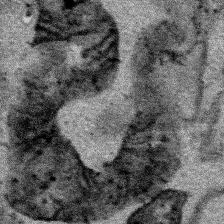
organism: Human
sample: Mitochondria in HCT116 cells